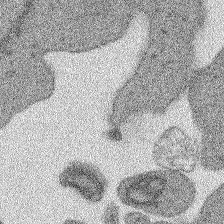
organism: Human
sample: HeLa cells